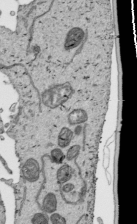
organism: Human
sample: Mitochondria in HCT116 cells